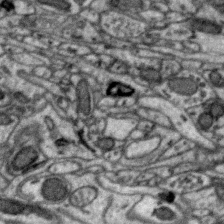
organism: Zebra finch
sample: Brain